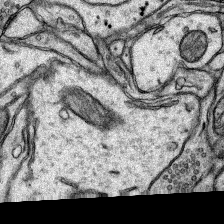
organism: Rat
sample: Hippocampus